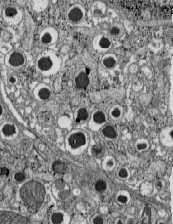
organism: C57BL Mouse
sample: Pancreatic islet